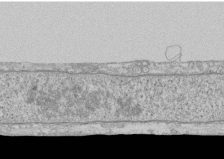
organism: Human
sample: CRL-1474